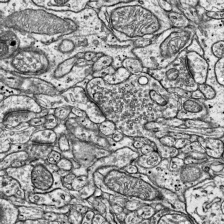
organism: Mouse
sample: Visual Cortex